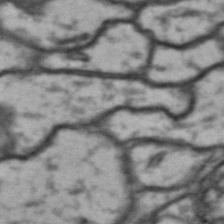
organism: Drosophila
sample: Brain